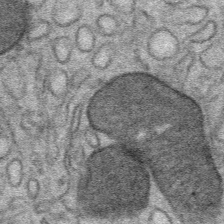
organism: Mouse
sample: Mouse Salivary gland